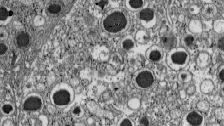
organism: C57BL Mouse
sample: Pancreatic islet